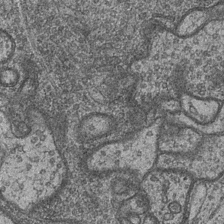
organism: Drosophila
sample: Optic medulla